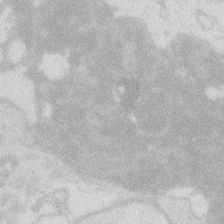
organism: Zebrafish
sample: Macrophage